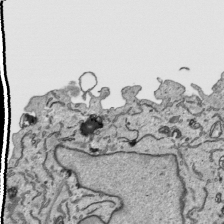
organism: Human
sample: Mitochondria in HCT116 cells